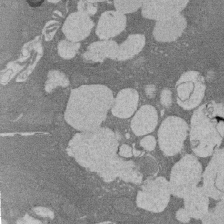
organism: Rat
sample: Salivary granule